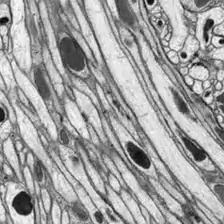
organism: Drosophila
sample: Optic lobe